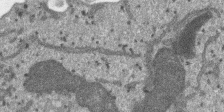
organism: Human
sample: Lung epithelial cells infected with SARS-CoV-2